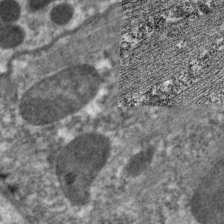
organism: C. elegans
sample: Pharynx